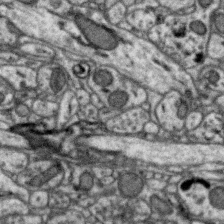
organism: Zebra finch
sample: Brain